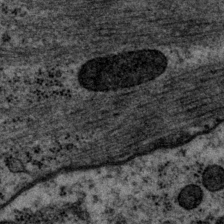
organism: P. pacificus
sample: Pharynx